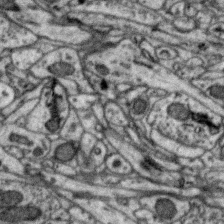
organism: Zebra finch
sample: Brain